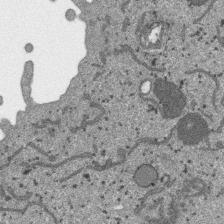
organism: Human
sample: Lung epithelial cells infected with SARS-CoV-2